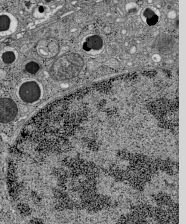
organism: C57BL Mouse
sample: Pancreatic islet